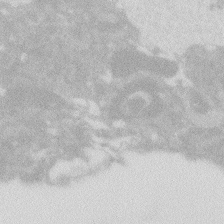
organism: Zebrafish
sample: Macrophage